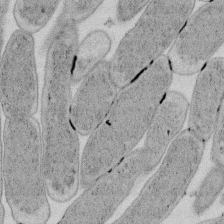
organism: E. coli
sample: Bacterial nucleoid